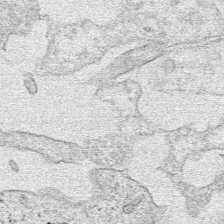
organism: Human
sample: Mitochondria in HCT116 cells